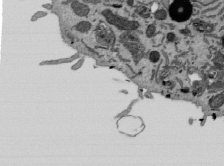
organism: Mouse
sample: ED-1 cell nuclei; centrioles